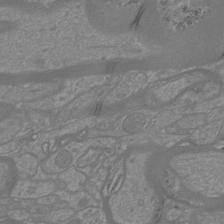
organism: Mouse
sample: Cortical neurons